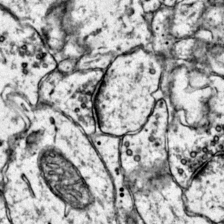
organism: Mouse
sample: Primary visual cortex